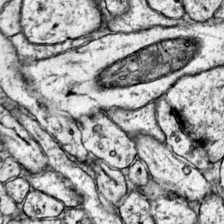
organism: Mouse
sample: Primary visual cortex